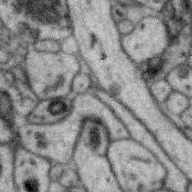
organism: Zebra finch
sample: Brain